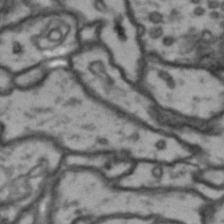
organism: Drosophila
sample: Brain